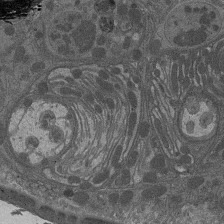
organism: Drosophila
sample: Antenna